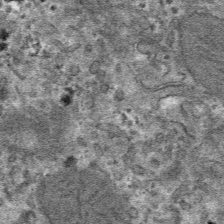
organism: Mouse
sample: Mouse hepatocytes